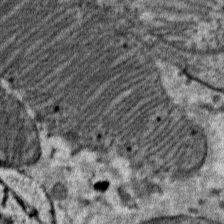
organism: Mouse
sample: Mouse Salivary gland